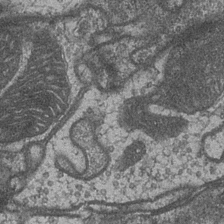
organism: Drosophila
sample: Optic medulla